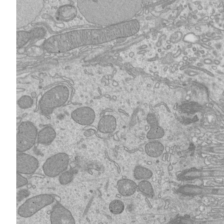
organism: Mouse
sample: Cilia; mouse epididymis